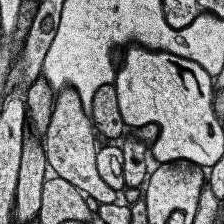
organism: Human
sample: Temporal Lobe